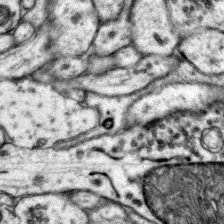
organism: Mouse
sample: Primary visual cortex